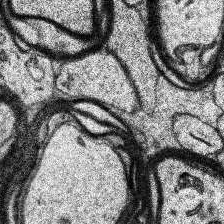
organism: Human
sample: Temporal Lobe